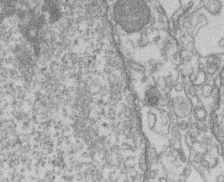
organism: Mouse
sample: T cell stromal cell synapse